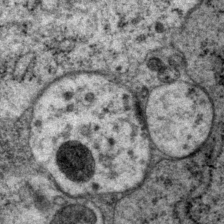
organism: P. pacificus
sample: Pharynx